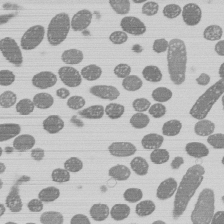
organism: E. coli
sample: Bacterial nucleoid